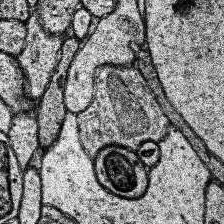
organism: Human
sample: Temporal Lobe